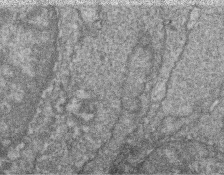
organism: Zebrafish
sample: Cilia; retinal pigment epithelium